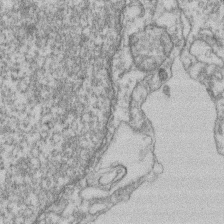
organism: Mouse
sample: T cell stromal cell synapse